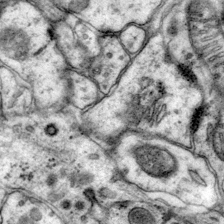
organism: Mouse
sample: Primary visual cortex